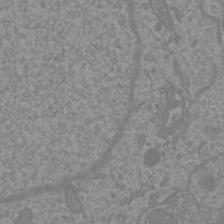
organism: Mouse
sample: Cortical neurons